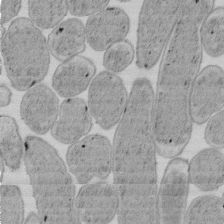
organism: E. coli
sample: Bacterial nucleoid